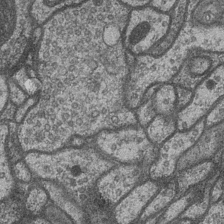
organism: Drosophila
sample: Optic medulla